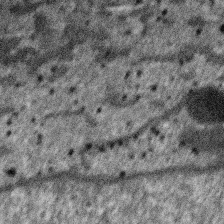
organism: Human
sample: Lung epithelial cells infected with SARS-CoV-2